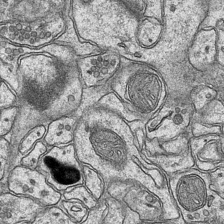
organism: Mouse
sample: CA1 Hippocampus